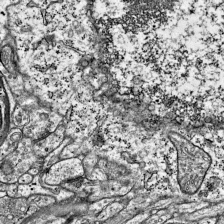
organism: Mouse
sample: Visual Cortex